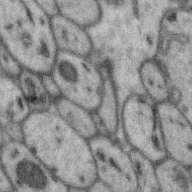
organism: Zebra finch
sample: Brain